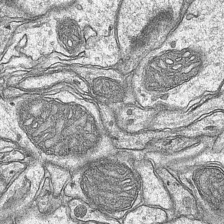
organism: Mouse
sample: CA1 Hippocampus